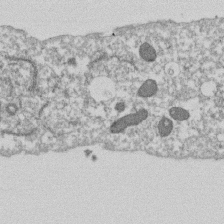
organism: Dictyostelium discoideum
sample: Dictyostelium multivesicular bodies